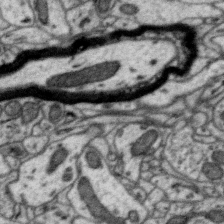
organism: Zebra finch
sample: Brain